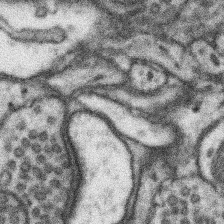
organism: Mouse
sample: Somatosensory cortex neuropil